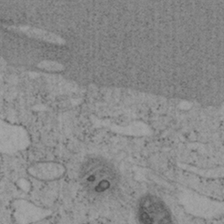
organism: Mouse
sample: OT-I killer T cells with ID8 ovarian cancer cells